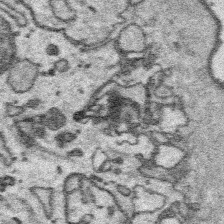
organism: Platynereis dumerilii